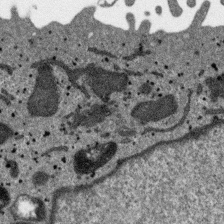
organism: Human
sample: Lung epithelial cells, uninfected (mock) control